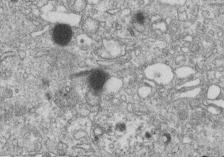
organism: Human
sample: HeLa cell HIV synapse